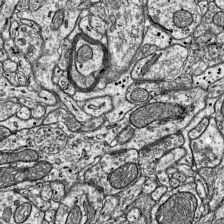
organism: Mouse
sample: Visual Cortex